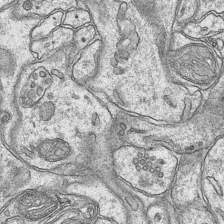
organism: Mouse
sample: CA1 Hippocampus